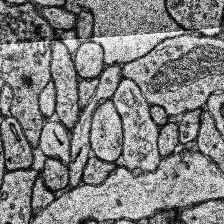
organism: Human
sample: Temporal Lobe